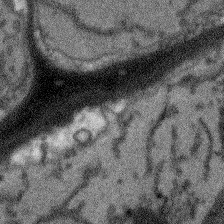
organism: Arabidopsis thaliana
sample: Root tip